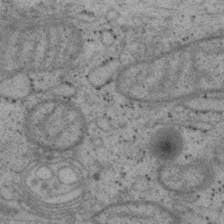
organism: Human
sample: HeLa cells